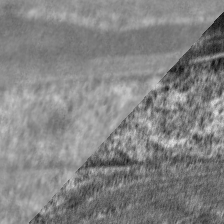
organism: C. elegans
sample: Pharynx